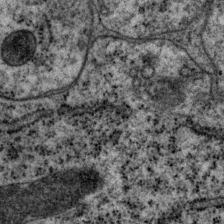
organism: P. pacificus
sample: Pharynx